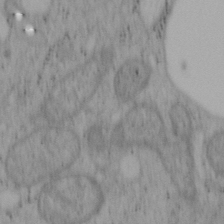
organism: Mouse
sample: OT-I killer T cells with ID8 ovarian cancer cells